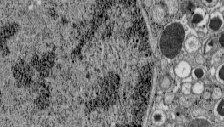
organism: C57BL Mouse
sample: Pancreatic islet